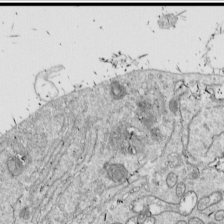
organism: Drosophila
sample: Cell division; meiosis; drosophila spermatocytes